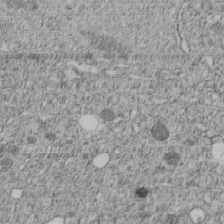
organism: C. elegans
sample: C. elegans embryo early stage